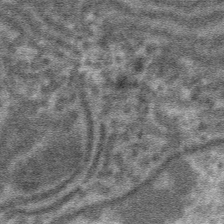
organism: Mouse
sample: Mouse hepatocytes